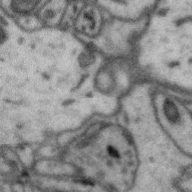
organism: Zebra finch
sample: Brain